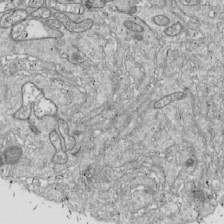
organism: Drosophila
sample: Cell division; meiosis; drosophila spermatocytes